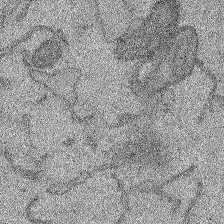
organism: Human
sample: HeLa cells